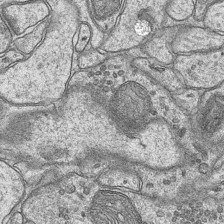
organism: Mouse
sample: CA1 Hippocampus